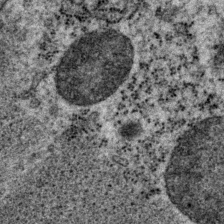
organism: P. pacificus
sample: Pharynx